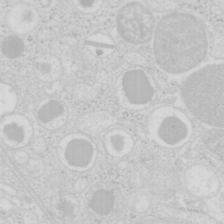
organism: Mouse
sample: Pancreas